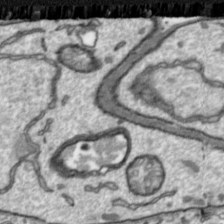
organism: Toxoplasma gondii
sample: Parasites in a vacuole inside a host cell